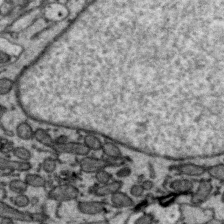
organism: Zebra finch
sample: Brain